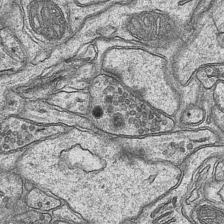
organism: Mouse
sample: CA1 Hippocampus